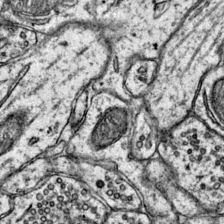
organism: Mouse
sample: Primary visual cortex